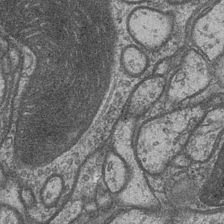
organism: Drosophila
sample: Optic medulla